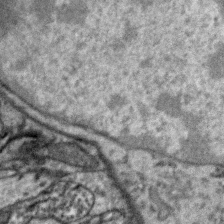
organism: Zebra finch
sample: Brain